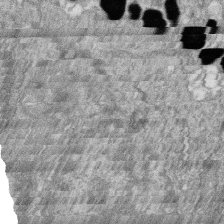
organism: Zebrafish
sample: Cilia; retinal pigment epithelium